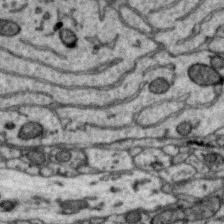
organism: Zebra finch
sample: Brain